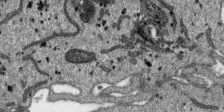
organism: Human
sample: Lung epithelial cells, uninfected (mock) control